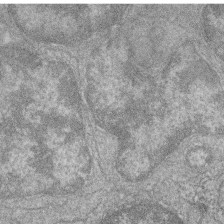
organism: Zebrafish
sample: Cilia; retinal pigment epithelium